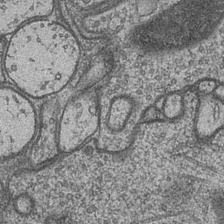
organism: Drosophila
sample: Optic medulla